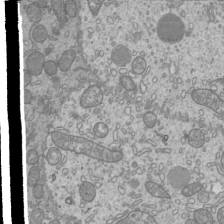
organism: Mouse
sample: Cilia; mouse epididymis